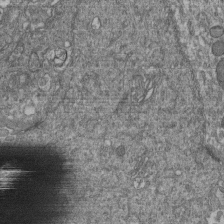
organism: Human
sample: Retinal organoid Rod and Cone cells